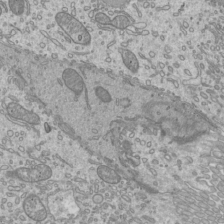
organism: Mouse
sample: Cilia; mouse epididymis